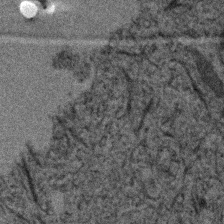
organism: Human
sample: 1205lu cells